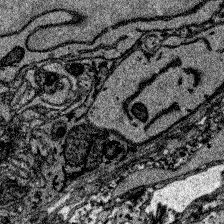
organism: Zebrafish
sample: Larval olfactory bulb